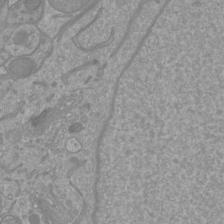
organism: Mouse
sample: Cortical neurons